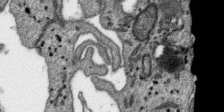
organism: Human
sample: Lung epithelial cells, uninfected (mock) control